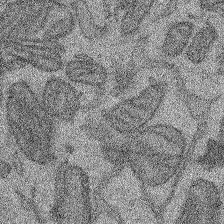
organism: Human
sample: HeLa cells